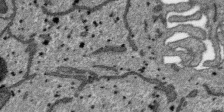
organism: Human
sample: Lung epithelial cells, uninfected (mock) control